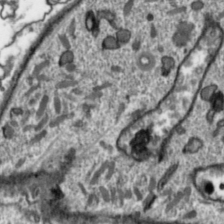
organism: Toxoplasma gondii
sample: Parasites in a vacuole inside a host cell